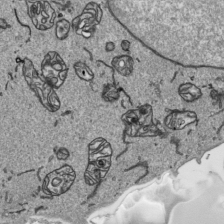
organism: Human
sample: Mitochondria in HCT116 cells